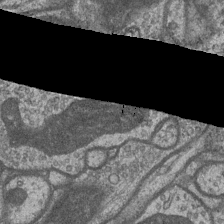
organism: Drosophila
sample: Optic medulla